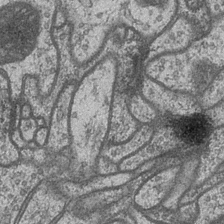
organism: Drosophila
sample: Optic medulla